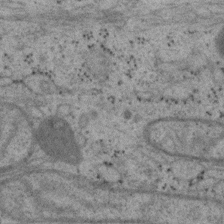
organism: Human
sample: HeLa cells